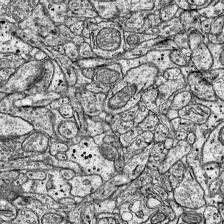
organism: Mouse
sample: Visual Cortex